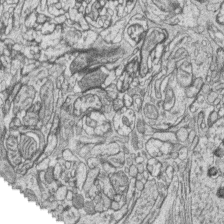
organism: Zebrafish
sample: synaptic ribbons in rod cells and cone cells